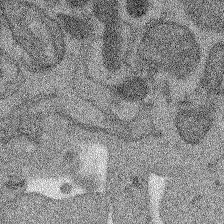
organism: Human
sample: HeLa cells